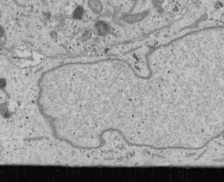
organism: Human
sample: Mitochondria in U2OS cells